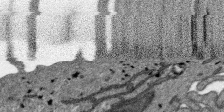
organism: Human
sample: Lung epithelial cells, uninfected (mock) control